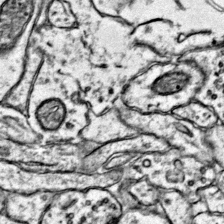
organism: Mouse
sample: Primary visual cortex